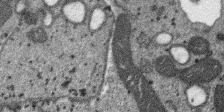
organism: Human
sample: Lung epithelial cells infected with SARS-CoV-2